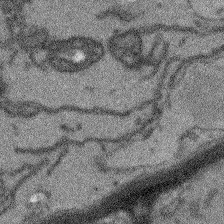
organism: Arabidopsis thaliana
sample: Root tip